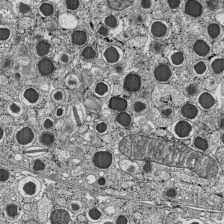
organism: C57BL Mouse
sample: Pancreatic islet